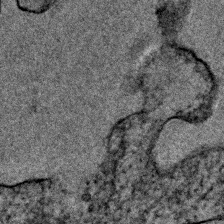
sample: Trachea